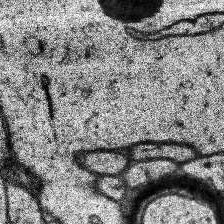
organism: Human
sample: Temporal Lobe